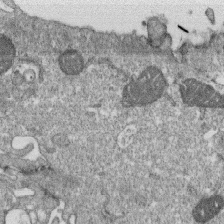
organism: African green monkey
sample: Vero E6 cells infected with SARS-CoV-2